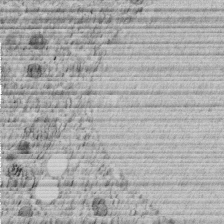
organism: C. elegans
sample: C. elegans embryo early stage